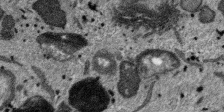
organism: Human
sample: Lung epithelial cells, uninfected (mock) control